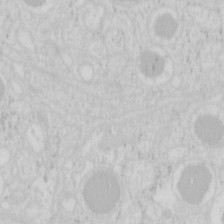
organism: Mouse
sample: Pancreas